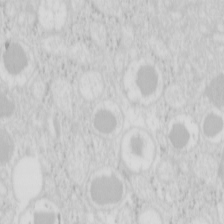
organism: Mouse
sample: Pancreas